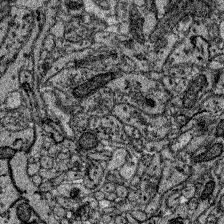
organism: Zebrafish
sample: Larval olfactory bulb